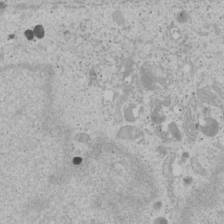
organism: Human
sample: Mitochondria in U2OS cells